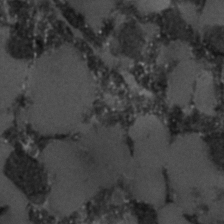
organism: C. elegans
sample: C. elegans embryo